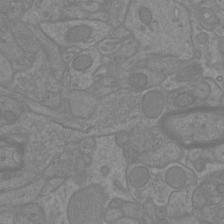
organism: Mouse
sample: Cortical neurons